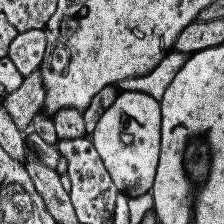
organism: Human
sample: Temporal Lobe